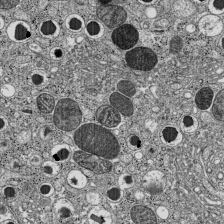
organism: C57BL Mouse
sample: Pancreatic islet